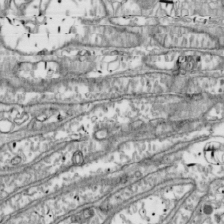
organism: Drosophila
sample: Cell division; meiosis; drosophila spermatocytes